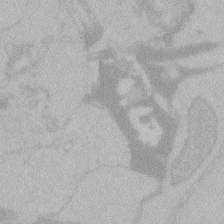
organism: Zebrafish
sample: Macrophage infected with Toxoplasma gondii